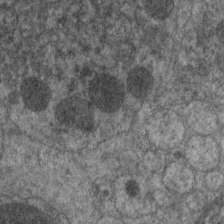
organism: C. elegans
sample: Pharynx